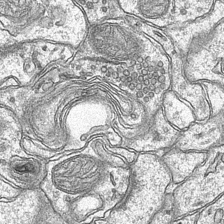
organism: Mouse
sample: CA1 Hippocampus